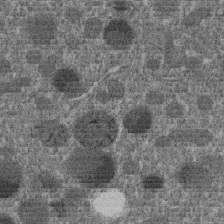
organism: C. elegans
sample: C. elegans embryo early stage